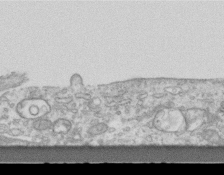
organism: Mouse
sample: Centriole in ependymal cells